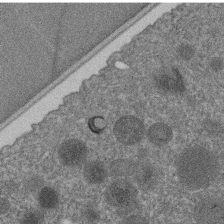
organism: C. elegans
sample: C. elegans embryo early stage